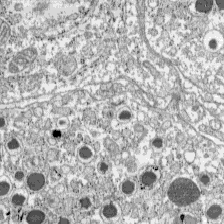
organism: C57BL Mouse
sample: Pancreatic islet